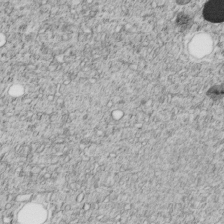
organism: C. elegans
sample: C. elegans embryo early stage